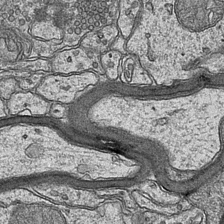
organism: Mouse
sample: CA1 Hippocampus